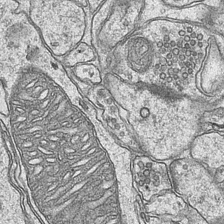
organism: Mouse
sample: CA1 Hippocampus